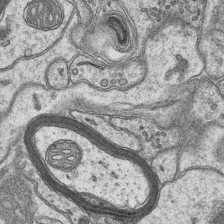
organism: Mouse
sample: CA1 Hippocampus